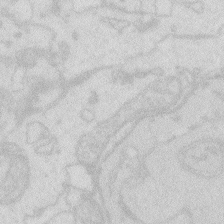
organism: Zebrafish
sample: Macrophage